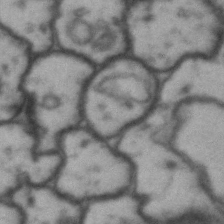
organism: Drosophila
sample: Brain